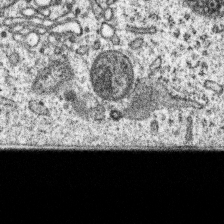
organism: Human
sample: HeLa cells